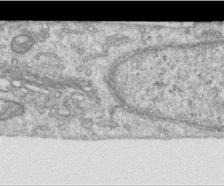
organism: Human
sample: Centriole in RPE cells